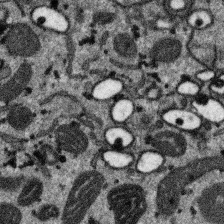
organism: Human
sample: Lung epithelial cells infected with SARS-CoV-2